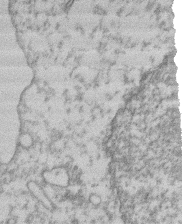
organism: Mouse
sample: T cell stromal cell synapse